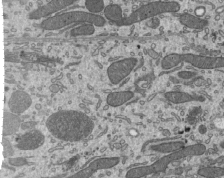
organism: Mouse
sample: Mouse epididymis efferent ductule cilia